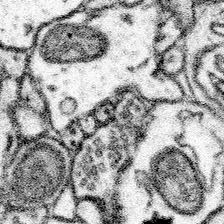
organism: Mouse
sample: Somatosensory cortex neuropil